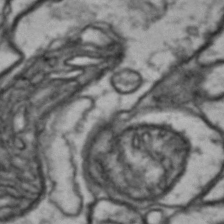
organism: Drosophila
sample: Brain